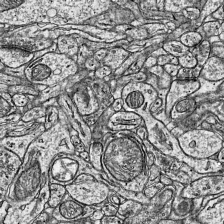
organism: Mouse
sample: Visual Cortex